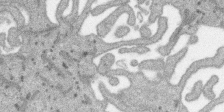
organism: Human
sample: Lung epithelial cells infected with SARS-CoV-2